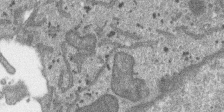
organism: Human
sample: Lung epithelial cells infected with SARS-CoV-2